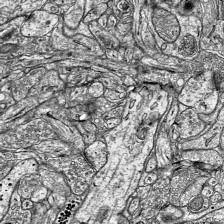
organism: Mouse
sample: Visual Cortex